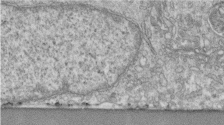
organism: Human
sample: Centriole in fibroblast cells